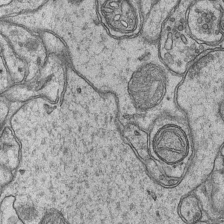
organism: Mouse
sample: CA1 Hippocampus